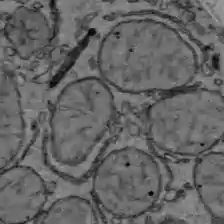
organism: C57BL Mouse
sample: Liver